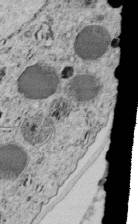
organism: C. elegans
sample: C. elegans embryo early stage